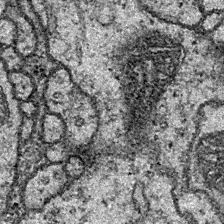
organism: Drosophila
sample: Ventral Nerve Cord